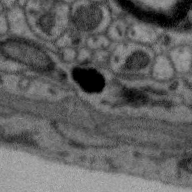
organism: Zebra finch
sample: Brain